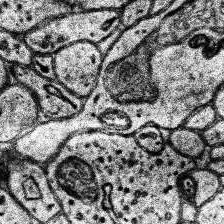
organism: Human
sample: Temporal Lobe